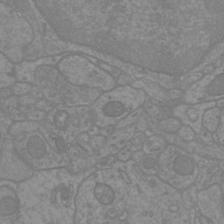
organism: Mouse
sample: Cortical neurons